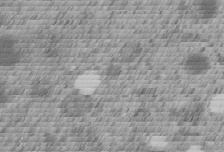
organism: C. elegans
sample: C. elegans embryo early stage